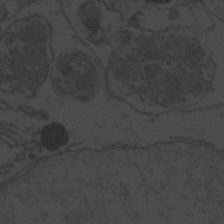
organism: Zebrafish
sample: Macrophage infected with Toxoplasma gondii